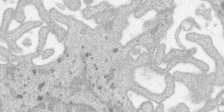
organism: Human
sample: Lung epithelial cells infected with SARS-CoV-2